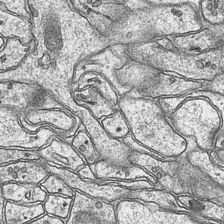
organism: Mouse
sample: CA1 Hippocampus